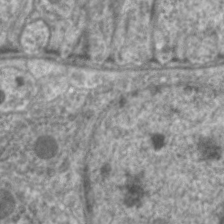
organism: C. elegans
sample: Pharynx